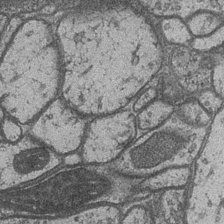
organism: Drosophila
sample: Optic medulla